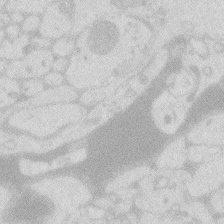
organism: Zebrafish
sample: Macrophage